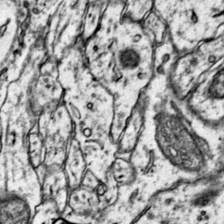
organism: Mouse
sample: Primary visual cortex